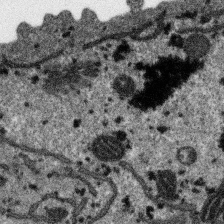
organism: Human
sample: Lung epithelial cells infected with SARS-CoV-2